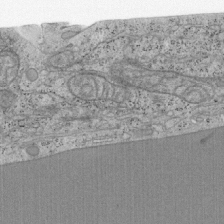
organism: Human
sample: HeLa cells